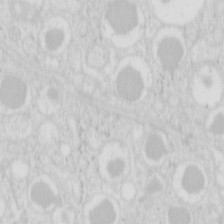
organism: Mouse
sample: Pancreas